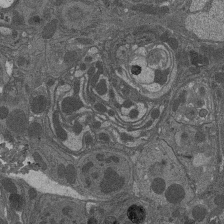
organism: Drosophila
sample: Antenna